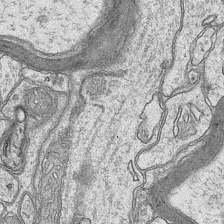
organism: Mouse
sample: CA1 Hippocampus